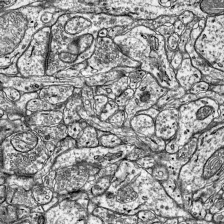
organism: Mouse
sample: Visual Cortex